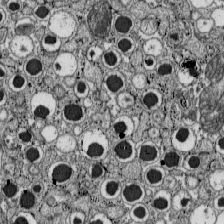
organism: C57BL Mouse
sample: Pancreatic islet